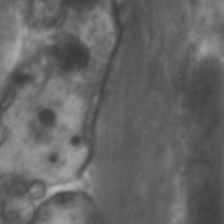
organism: C. elegans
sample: Pharynx